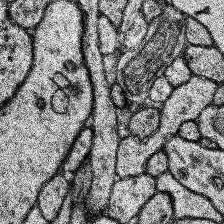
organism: Human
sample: Temporal Lobe